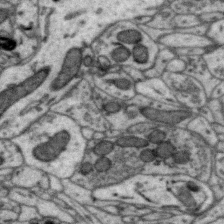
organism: Zebra finch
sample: Brain